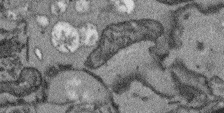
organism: Arabidopsis thaliana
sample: Root tip